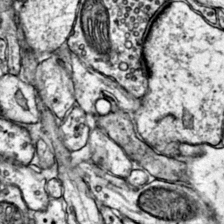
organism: Mouse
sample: Primary visual cortex